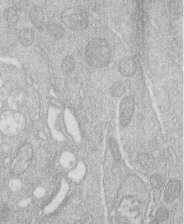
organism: Human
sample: Macrophage cells